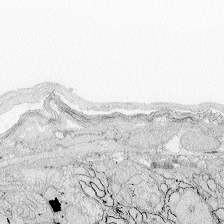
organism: Zebrafish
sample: Whole-Brain